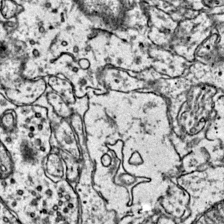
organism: Mouse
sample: Primary visual cortex